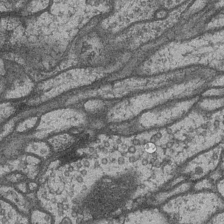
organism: Drosophila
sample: Optic medulla